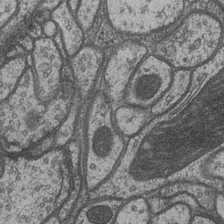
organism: Drosophila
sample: Optic medulla